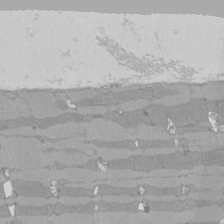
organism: Rat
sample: Left ventricle